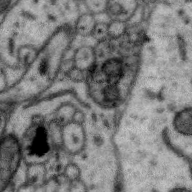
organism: Zebra finch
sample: Brain